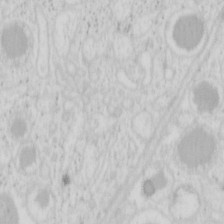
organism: Mouse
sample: Pancreas